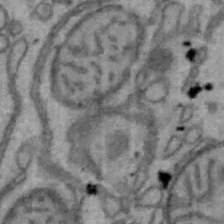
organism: Mouse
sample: Liver